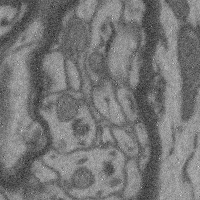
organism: Mouse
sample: Cerebral cortex